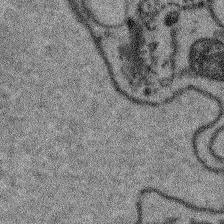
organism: Arabidopsis thaliana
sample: Root tip